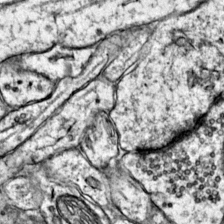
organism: Mouse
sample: Primary visual cortex